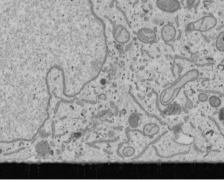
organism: Human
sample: Mitochondria in U2OS cells